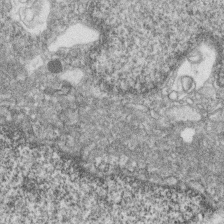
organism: Zebrafish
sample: Cilia; retinal pigment epithelium